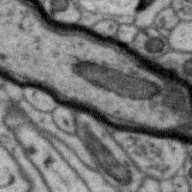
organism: Zebra finch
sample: Brain